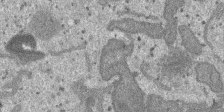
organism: Human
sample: Lung epithelial cells infected with SARS-CoV-2